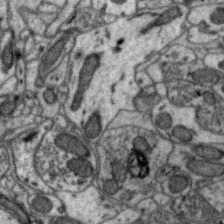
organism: Zebra finch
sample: Brain